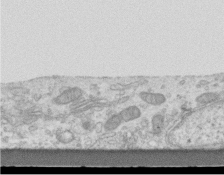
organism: Mouse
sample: Centriole in ependymal cells